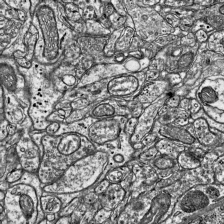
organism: Mouse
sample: Visual Cortex